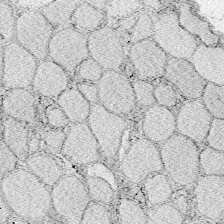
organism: Zebrafish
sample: Whole-Brain